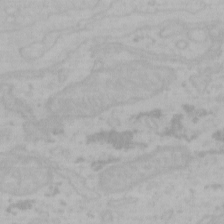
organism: Mouse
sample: Choroid plexus